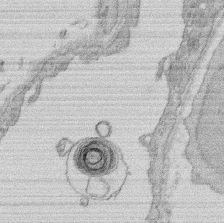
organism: Rat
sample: Salivary granule